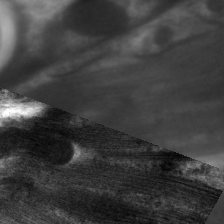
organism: C. elegans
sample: Pharynx